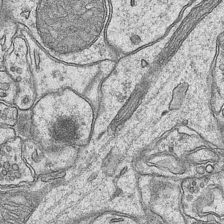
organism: Mouse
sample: CA1 Hippocampus